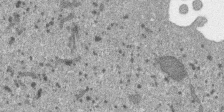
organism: Human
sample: Lung epithelial cells infected with SARS-CoV-2